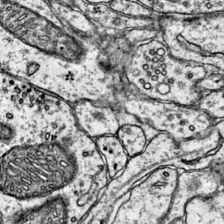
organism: Mouse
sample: Primary visual cortex